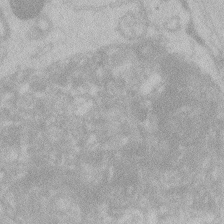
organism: Zebrafish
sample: Macrophage infected with Toxoplasma gondii